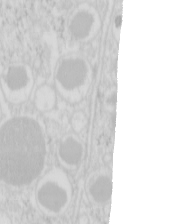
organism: Mouse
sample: Pancreas